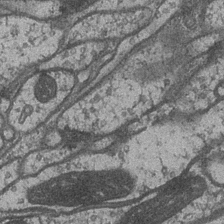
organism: Drosophila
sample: Optic medulla